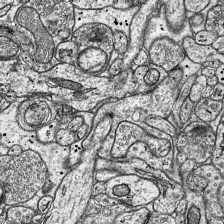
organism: Mouse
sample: Visual Cortex